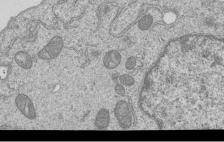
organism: Human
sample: MDA-MB-231 cells